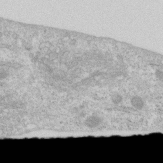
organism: Human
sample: Centriole in RPE cells